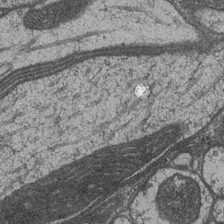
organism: Drosophila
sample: Optic medulla